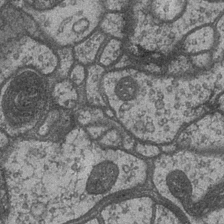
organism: Drosophila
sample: Optic medulla